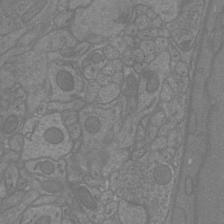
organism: Mouse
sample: Cortical neurons